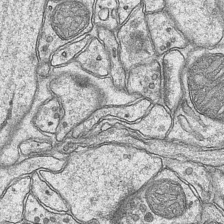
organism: Mouse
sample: CA1 Hippocampus